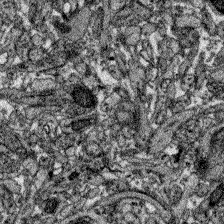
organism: Zebrafish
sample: Larval olfactory bulb